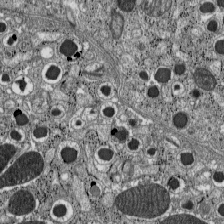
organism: C57BL Mouse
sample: Pancreatic islet